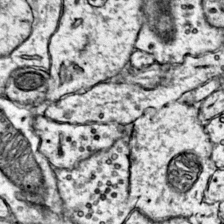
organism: Mouse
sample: Primary visual cortex